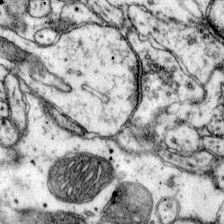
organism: Mouse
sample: Primary visual cortex